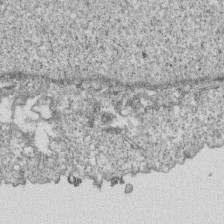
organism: Human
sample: HeLa cell HIV synapse